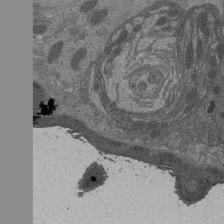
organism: Drosophila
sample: Antenna